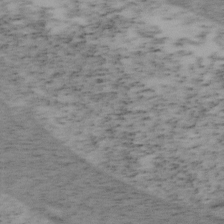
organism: Mouse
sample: OT-I killer T cells with ID8 ovarian cancer cells